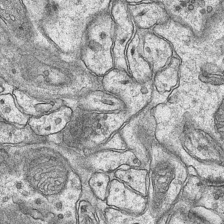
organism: Mouse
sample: CA1 Hippocampus